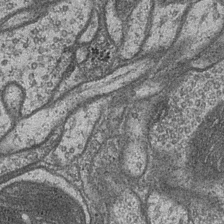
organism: Drosophila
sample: Optic medulla